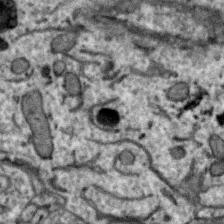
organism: Zebra finch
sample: Brain